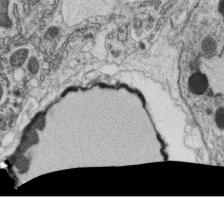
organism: C. elegans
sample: C. elegans oocyte; sperm cells